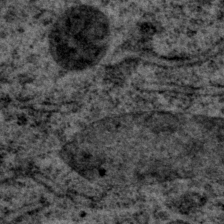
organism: P. pacificus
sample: Pharynx